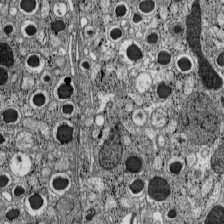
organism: C57BL Mouse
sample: Pancreatic islet